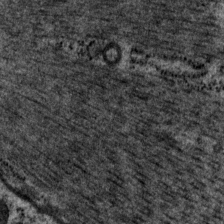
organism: P. pacificus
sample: Pharynx